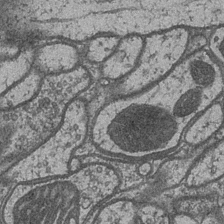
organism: Drosophila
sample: Optic medulla